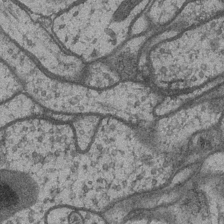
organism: Drosophila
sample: Optic medulla